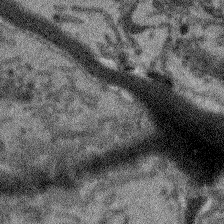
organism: Arabidopsis thaliana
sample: Root tip